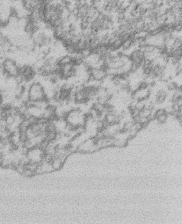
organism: Mouse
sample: T cell stromal cell synapse